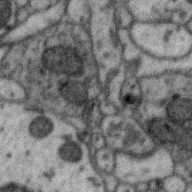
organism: Zebra finch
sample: Brain